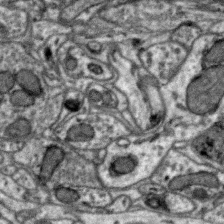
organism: Zebra finch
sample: Brain